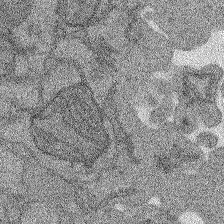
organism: Human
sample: HeLa cells